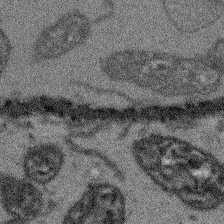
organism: Arabidopsis thaliana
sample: Root tip